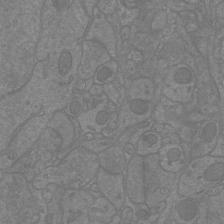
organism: Mouse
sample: Cortical neurons